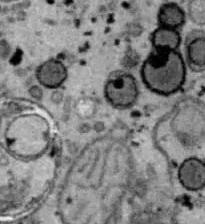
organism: Mouse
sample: Liver from an obese (ob/ob) mouse